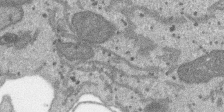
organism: Human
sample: Lung epithelial cells infected with SARS-CoV-2